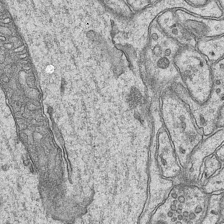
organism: Mouse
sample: CA1 Hippocampus